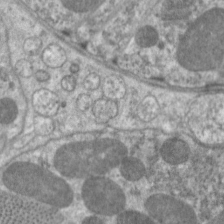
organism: C. elegans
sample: Pharynx